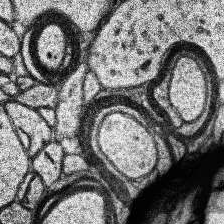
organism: Human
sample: Temporal Lobe